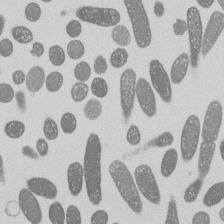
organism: E. coli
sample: Bacterial nucleoid